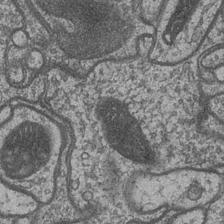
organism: Drosophila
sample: Optic medulla